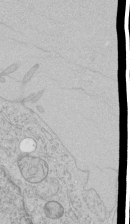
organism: Human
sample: Mitochondria in HCT116 cells